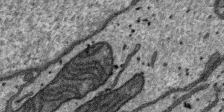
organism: Human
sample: Lung epithelial cells, uninfected (mock) control